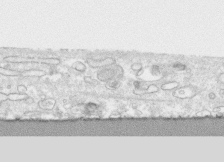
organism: Human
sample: CRL-1474